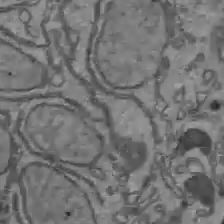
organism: C57BL Mouse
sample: Liver